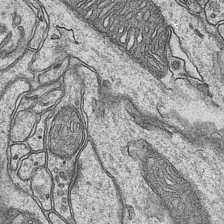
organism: Mouse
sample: CA1 Hippocampus